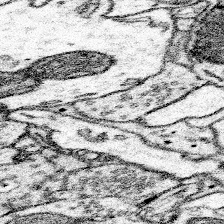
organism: Mouse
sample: Somatosensory cortex neuropil